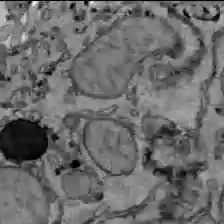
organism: C57BL Mouse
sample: Liver